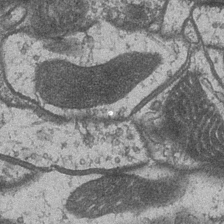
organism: Drosophila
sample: Optic medulla